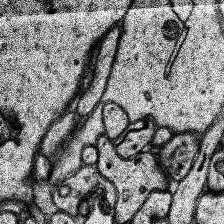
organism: Human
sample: Temporal Lobe